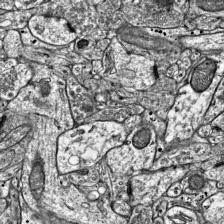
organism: Mouse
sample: Visual Cortex